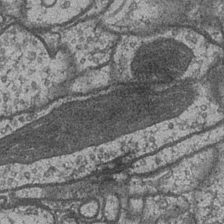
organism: Drosophila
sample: Optic medulla